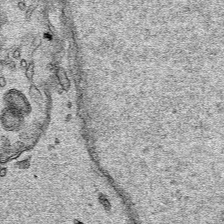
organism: Human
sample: Mitochondria in HCT116 cells